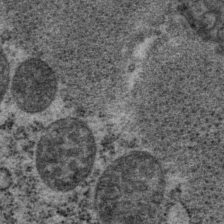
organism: P. pacificus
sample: Pharynx